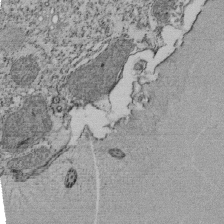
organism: Tetrahymena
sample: Cilia in tetrahymena